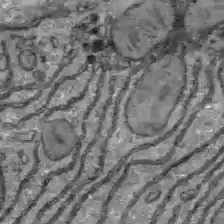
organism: C57BL Mouse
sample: Liver